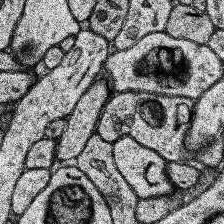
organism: Human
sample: Temporal Lobe